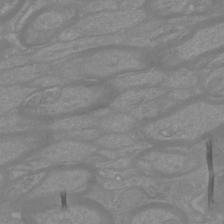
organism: Mouse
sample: Cortical neurons